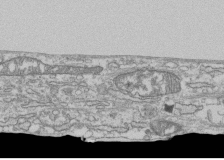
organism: Human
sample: Fibroblast cells